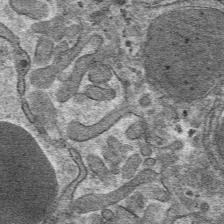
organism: Mouse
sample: Mouse hepatocytes